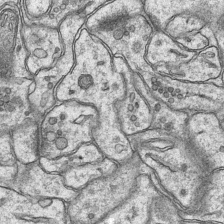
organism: Mouse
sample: CA1 Hippocampus